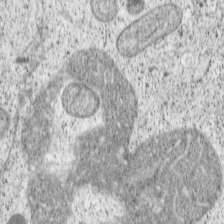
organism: African green monkey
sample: COS-7 cells